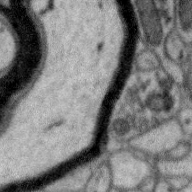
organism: Zebra finch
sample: Brain